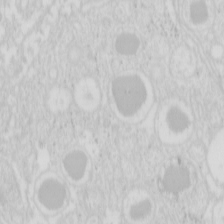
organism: Mouse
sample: Pancreas